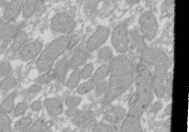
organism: Xenopus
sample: Cilia; centrioles in frog embryo cells